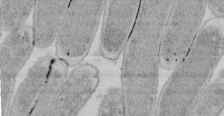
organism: E. coli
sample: Bacterial nucleoid